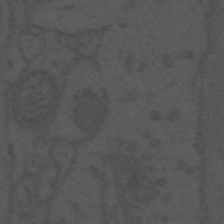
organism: Mouse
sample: Suprachiasmatic nucleus